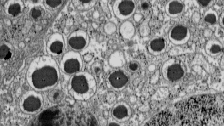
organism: C57BL Mouse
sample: Pancreatic islet